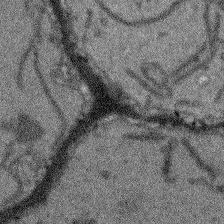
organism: Arabidopsis thaliana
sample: Root tip